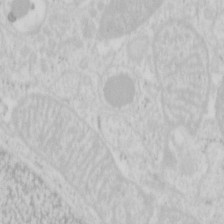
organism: Mouse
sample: Pancreas